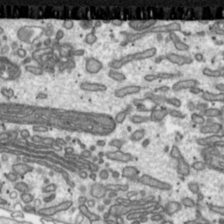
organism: Toxoplasma gondii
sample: Parasites in a vacuole inside a host cell